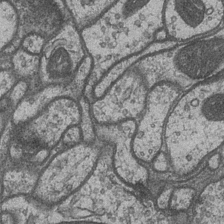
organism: Drosophila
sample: Optic medulla